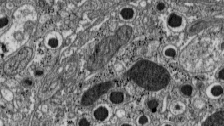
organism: C57BL Mouse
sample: Pancreatic islet